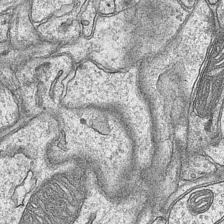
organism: Mouse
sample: CA1 Hippocampus